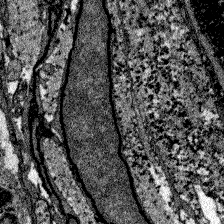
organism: Zebrafish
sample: Larval olfactory bulb